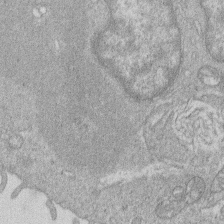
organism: Human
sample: Macrophage cells